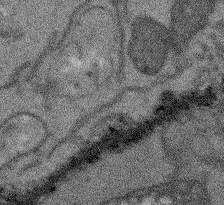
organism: Arabidopsis thaliana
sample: Root tip